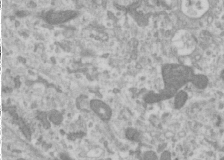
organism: Human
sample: Cilia; basal body in RPE cells